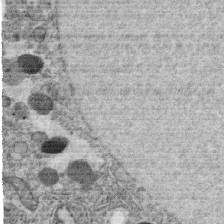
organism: C. elegans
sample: C. elegans oocyte; sperm cells